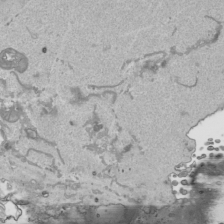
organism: Human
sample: Mitochondria in HCT116 cells